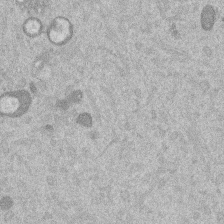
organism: Mouse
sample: Dividing mouse embryo 1 cell stage